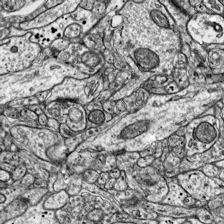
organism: Mouse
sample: Visual Cortex